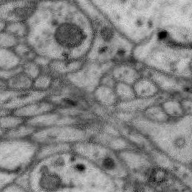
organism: Zebra finch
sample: Brain